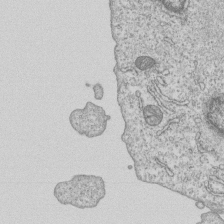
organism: Human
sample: MDA-MB-231 cells